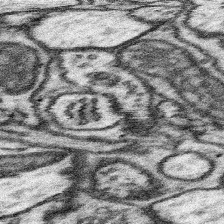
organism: Mouse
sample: Somatosensory cortex neuropil